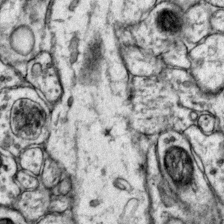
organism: Mouse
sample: Primary visual cortex